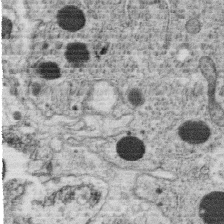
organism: C. elegans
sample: C. elegans oocyte; sperm cells